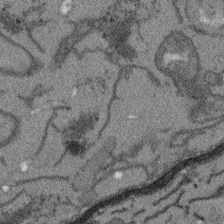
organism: Arabidopsis thaliana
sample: Root tip